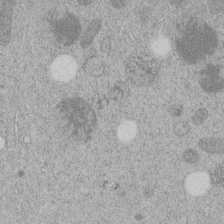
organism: C. elegans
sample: C. elegans embryo early stage